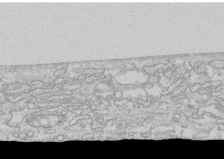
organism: Human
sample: CRL-1474